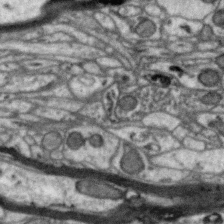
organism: Zebra finch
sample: Brain